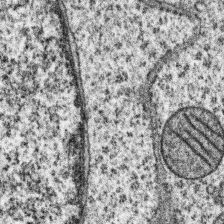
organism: Human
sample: HeLa cells